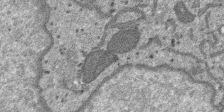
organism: Human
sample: Lung epithelial cells infected with SARS-CoV-2